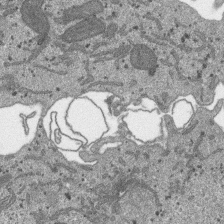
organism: Human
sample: Lung epithelial cells infected with SARS-CoV-2